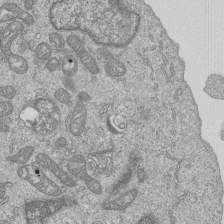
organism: Human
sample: MDA-MB-231 cells